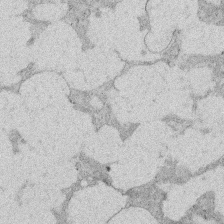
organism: Rat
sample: Salivary granule